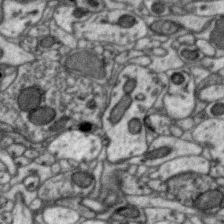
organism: Zebra finch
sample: Brain